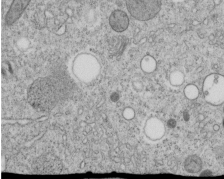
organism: C. elegans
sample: C. elegans embryo early stage